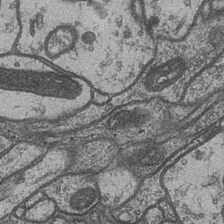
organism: Drosophila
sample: Optic medulla